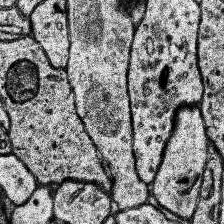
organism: Human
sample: Temporal Lobe